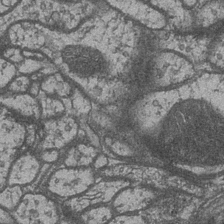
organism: Drosophila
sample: Optic medulla